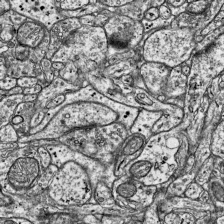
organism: Mouse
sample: Visual Cortex